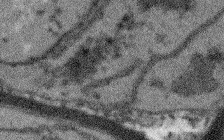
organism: Arabidopsis thaliana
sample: Root tip